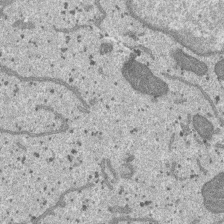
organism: Human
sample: Lung epithelial cells infected with SARS-CoV-2